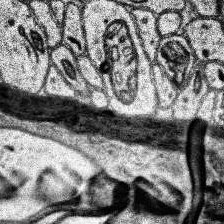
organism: Human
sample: Temporal Lobe